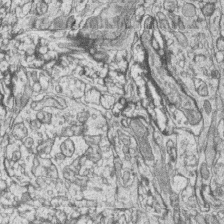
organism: Zebrafish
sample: synaptic ribbons in rod cells and cone cells